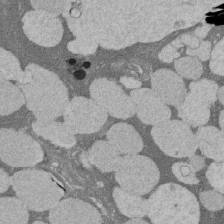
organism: Rat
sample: Salivary granule